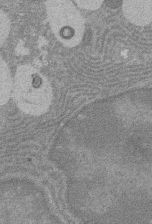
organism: Rat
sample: Salivary granule